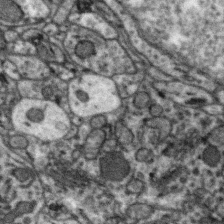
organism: Zebra finch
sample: Brain